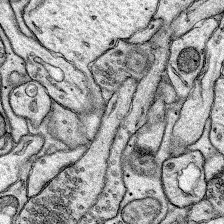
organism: Rat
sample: Hippocampus